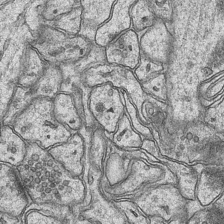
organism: Mouse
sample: CA1 Hippocampus